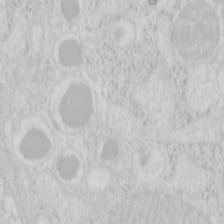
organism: Mouse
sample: Pancreas